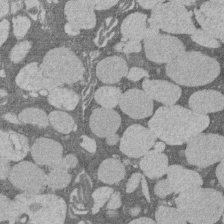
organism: Rat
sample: Salivary granule